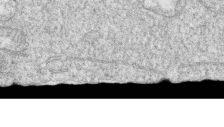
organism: Human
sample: HeLa cell HIV synapse